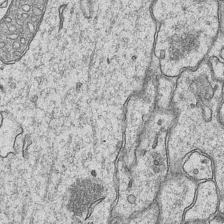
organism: Mouse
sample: CA1 Hippocampus